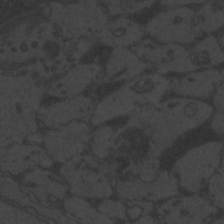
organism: Zebrafish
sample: Macrophage infected with Toxoplasma gondii